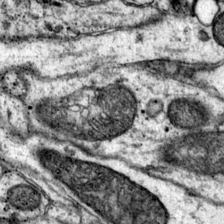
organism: Mouse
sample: Primary visual cortex